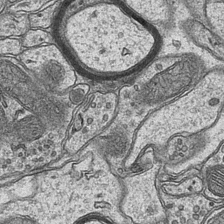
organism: Mouse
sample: CA1 Hippocampus